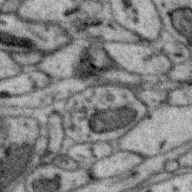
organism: Zebra finch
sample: Brain